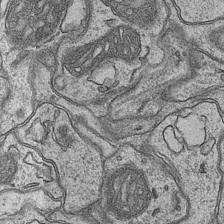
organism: Mouse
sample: CA1 Hippocampus